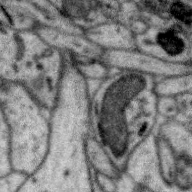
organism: Zebra finch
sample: Brain